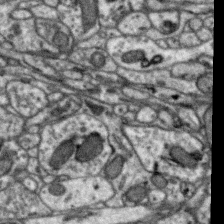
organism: Zebra finch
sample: Brain